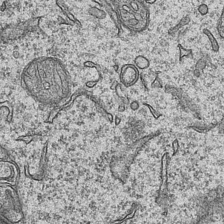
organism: Mouse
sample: CA1 Hippocampus